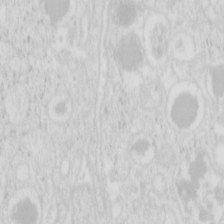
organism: Mouse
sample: Pancreas